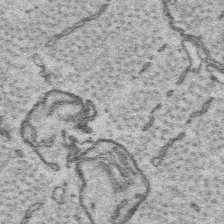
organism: Platynereis dumerilii